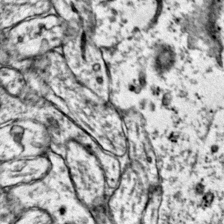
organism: Mouse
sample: Primary visual cortex